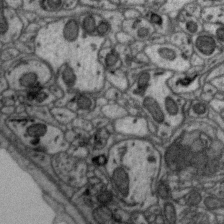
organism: Zebra finch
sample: Brain